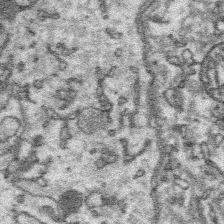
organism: Platynereis dumerilii